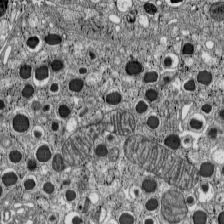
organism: C57BL Mouse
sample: Pancreatic islet